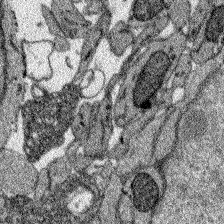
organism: Zebrafish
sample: Larval olfactory bulb